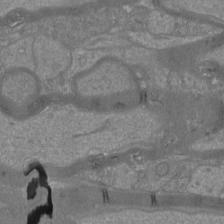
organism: Mouse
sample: Cortical neurons